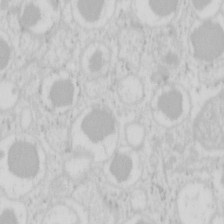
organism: Mouse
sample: Pancreas